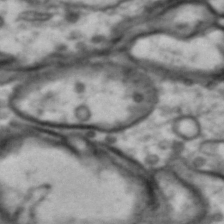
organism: Drosophila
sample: Brain